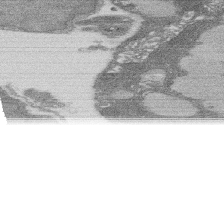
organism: Rat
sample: Salivary granule